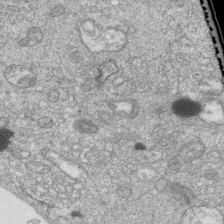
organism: Human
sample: HeLa cell HIV synapse